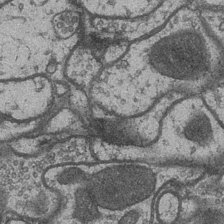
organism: Drosophila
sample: Optic medulla